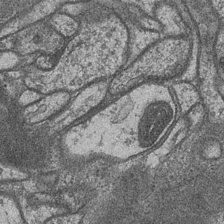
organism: Drosophila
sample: Optic medulla